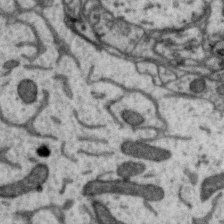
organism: Zebra finch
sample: Brain